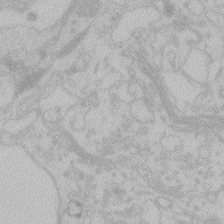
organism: Zebrafish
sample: Macrophage infected with Toxoplasma gondii